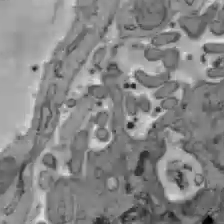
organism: C57BL Mouse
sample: Liver